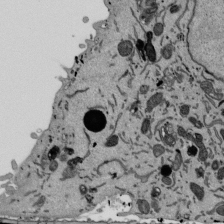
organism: Mouse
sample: ED-1 cell nuclei; centrioles